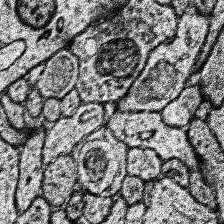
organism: Human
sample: Temporal Lobe